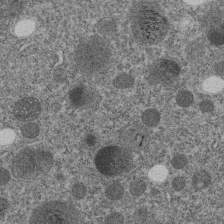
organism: C. elegans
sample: C. elegans embryo early stage